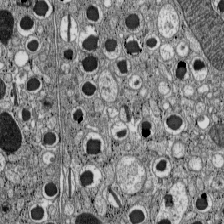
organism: C57BL Mouse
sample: Pancreatic islet